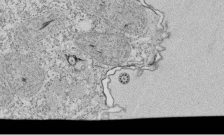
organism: Tetrahymena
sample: Cilia in tetrahymena